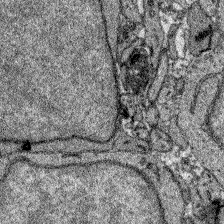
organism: Zebrafish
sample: Larval olfactory bulb